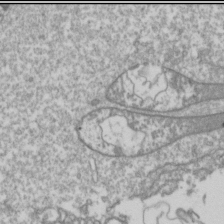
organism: Drosophila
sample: Cell division; meiosis; drosophila spermatocytes